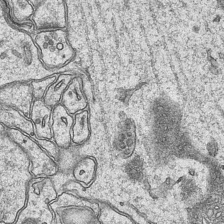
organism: Mouse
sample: CA1 Hippocampus